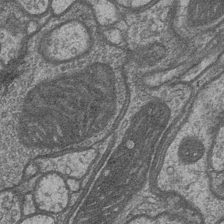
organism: Drosophila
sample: Optic medulla